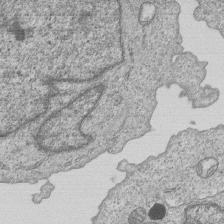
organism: Human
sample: MDA-MB-231 cells